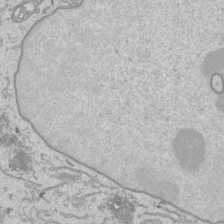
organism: Human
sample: Mitochondria in HCT116 cells